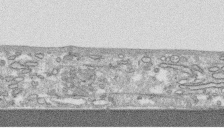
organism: Human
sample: CRL-1474